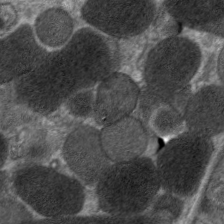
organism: C. elegans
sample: Pharynx